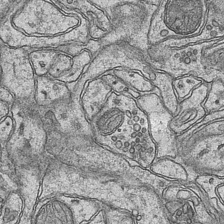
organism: Mouse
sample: CA1 Hippocampus